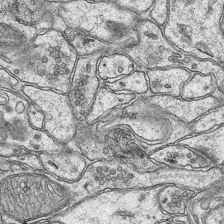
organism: Mouse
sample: CA1 Hippocampus